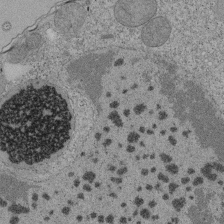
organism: Tetrahymena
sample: Cilia in tetrahymena